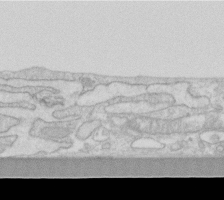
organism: Human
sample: Fibroblast cells